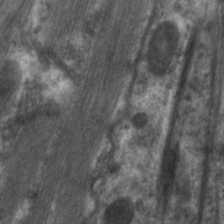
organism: C. elegans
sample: Pharynx